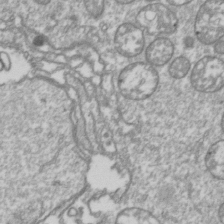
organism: Drosophila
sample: Cell division; meiosis; drosophila spermatocytes